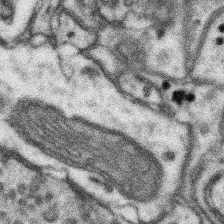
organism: Mouse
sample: Somatosensory cortex neuropil